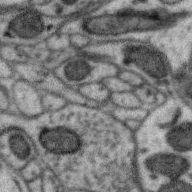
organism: Zebra finch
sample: Brain